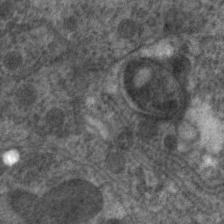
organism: C. elegans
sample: Pharynx